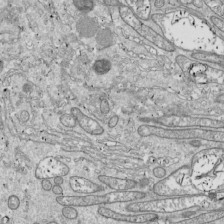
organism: Drosophila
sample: Cell division; meiosis; drosophila spermatocytes